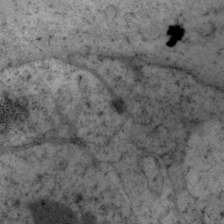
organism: P. pacificus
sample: Pharynx